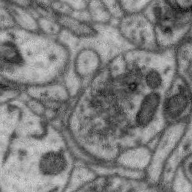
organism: Zebra finch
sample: Brain